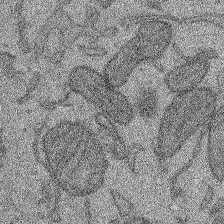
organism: Human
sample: HeLa cells